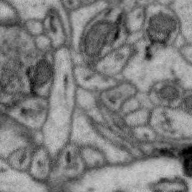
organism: Zebra finch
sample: Brain